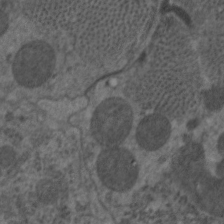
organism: C. elegans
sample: Pharynx